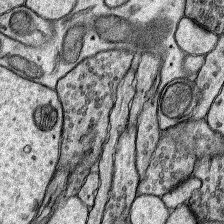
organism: Rat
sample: Hippocampus